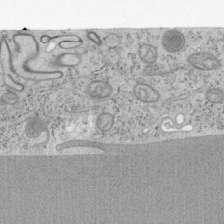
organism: Human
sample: HeLa cells